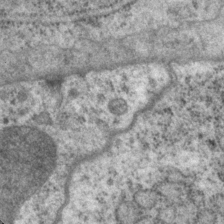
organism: P. pacificus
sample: Pharynx